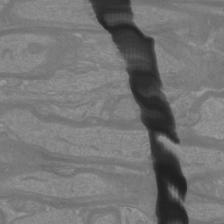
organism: Mouse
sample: Cortical neurons